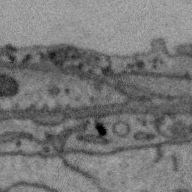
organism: Zebra finch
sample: Brain